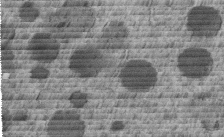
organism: C. elegans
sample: C. elegans embryo early stage